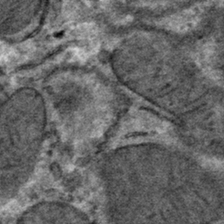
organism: Mouse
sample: Mouse hepatocytes